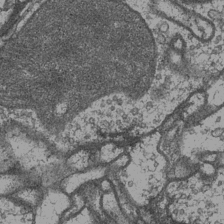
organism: Drosophila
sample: Optic medulla